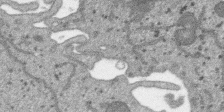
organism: Human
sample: Lung epithelial cells infected with SARS-CoV-2